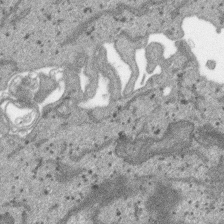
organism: Human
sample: Lung epithelial cells infected with SARS-CoV-2